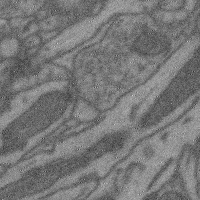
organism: Mouse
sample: Cerebral cortex